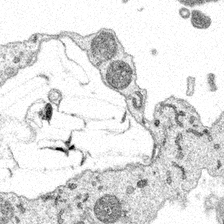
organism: Spongilla lacustris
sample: Multiple